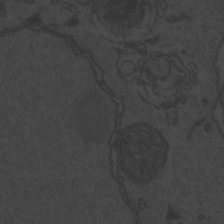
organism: Zebrafish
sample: Macrophage infected with Toxoplasma gondii